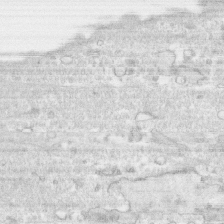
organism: Human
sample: CRL-1474